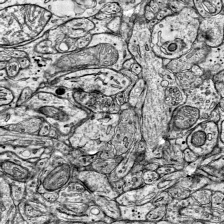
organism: Mouse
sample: Visual Cortex